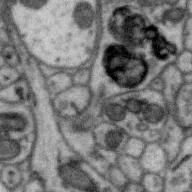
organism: Zebra finch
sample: Brain